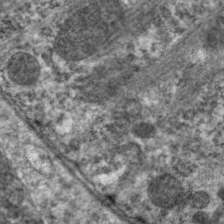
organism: C. elegans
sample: Pharynx